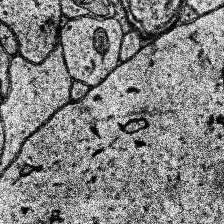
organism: Human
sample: Temporal Lobe